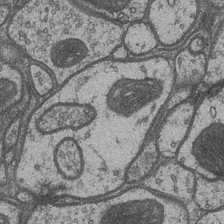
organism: Drosophila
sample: Optic medulla